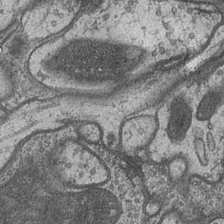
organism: Drosophila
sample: Optic medulla